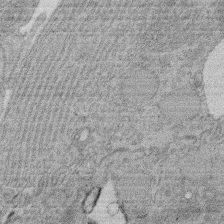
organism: Rat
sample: Salivary granule